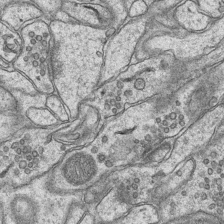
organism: Mouse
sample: CA1 Hippocampus